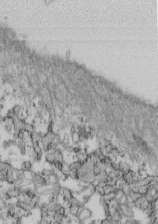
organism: Mouse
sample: Cilia; retinal pigment epithelium